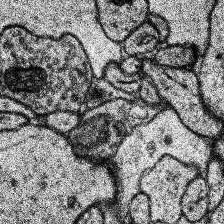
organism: Human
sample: Temporal Lobe